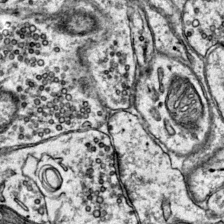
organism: Mouse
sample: Primary visual cortex